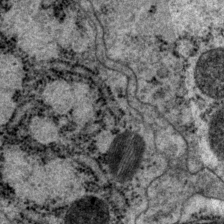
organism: P. pacificus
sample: Pharynx